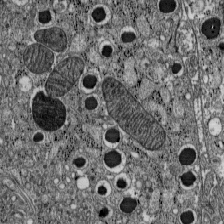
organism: C57BL Mouse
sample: Pancreatic islet